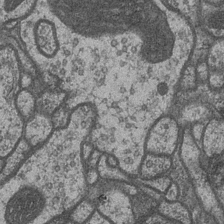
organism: Drosophila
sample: Optic medulla